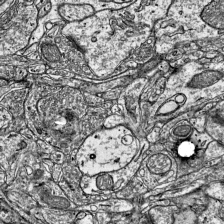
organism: Mouse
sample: Visual Cortex